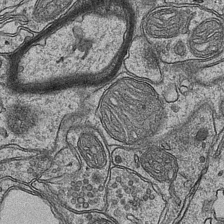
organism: Mouse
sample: CA1 Hippocampus